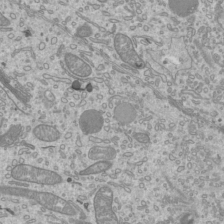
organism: Mouse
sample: Cilia; mouse epididymis